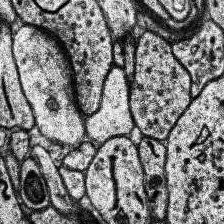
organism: Human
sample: Temporal Lobe